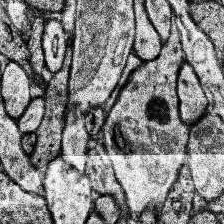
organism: Human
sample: Temporal Lobe